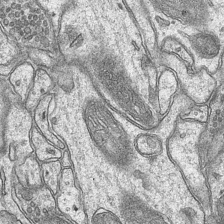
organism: Mouse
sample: CA1 Hippocampus